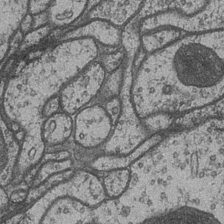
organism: Drosophila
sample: Optic medulla